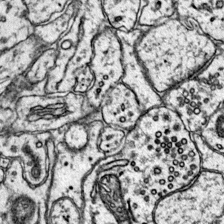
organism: Mouse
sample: Primary visual cortex